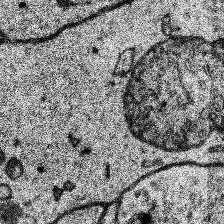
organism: Human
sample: Temporal Lobe